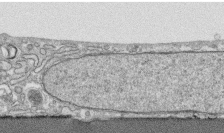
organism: Human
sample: CRL-1474